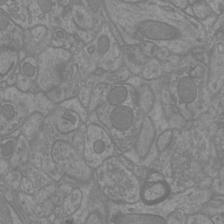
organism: Mouse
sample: Cortical neurons